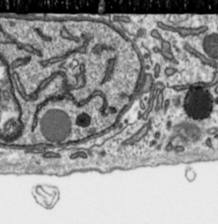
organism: Toxoplasma gondii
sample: Parasites in a vacuole inside a host cell